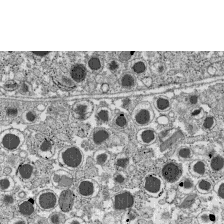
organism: C57BL Mouse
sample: Pancreatic islet